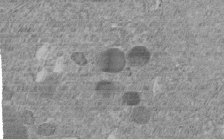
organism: C. elegans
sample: C. elegans embryo early stage